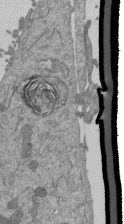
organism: Mouse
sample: ED-1 cell nuclei; centrioles